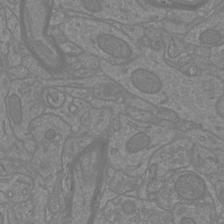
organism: Mouse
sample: Cortical neurons